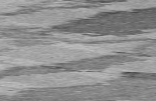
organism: C57BL Mouse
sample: Heart